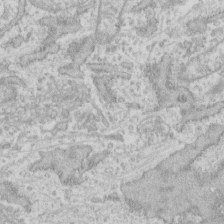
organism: Human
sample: Fibroblast cells